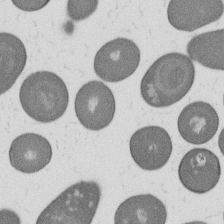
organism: B. subtilis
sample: Bacterial spore